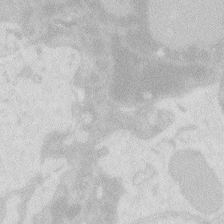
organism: Zebrafish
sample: Macrophage